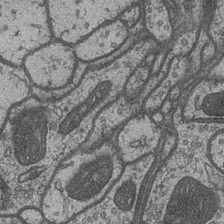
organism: Drosophila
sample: Optic medulla